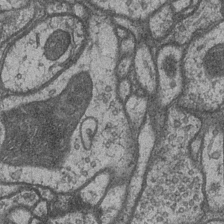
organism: Drosophila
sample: Optic medulla